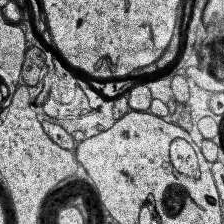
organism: Human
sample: Temporal Lobe